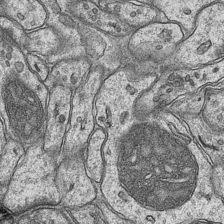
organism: Mouse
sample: CA1 Hippocampus